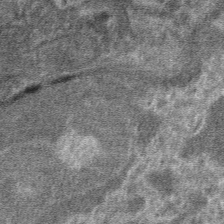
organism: Mouse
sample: Mouse hepatocytes